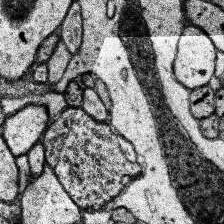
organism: Human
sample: Temporal Lobe